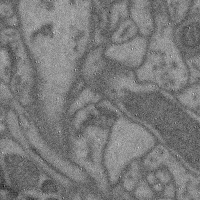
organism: Mouse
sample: Cerebral cortex